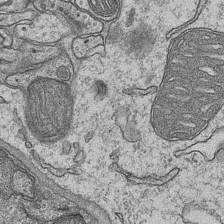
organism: Mouse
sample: CA1 Hippocampus